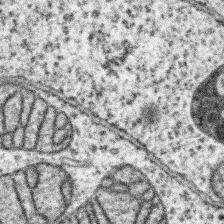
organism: Human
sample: HeLa cells